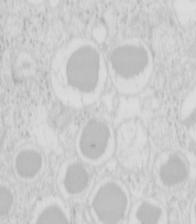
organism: Mouse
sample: Pancreas